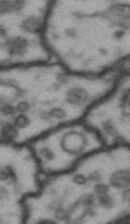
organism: Drosophila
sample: Brain